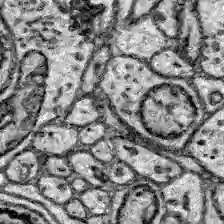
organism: Zebrafish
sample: Brain